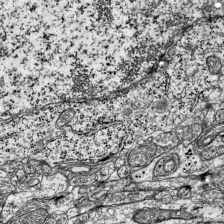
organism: Mouse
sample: Visual Cortex